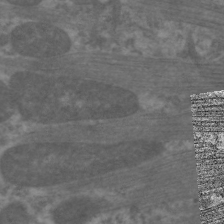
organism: C. elegans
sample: Pharynx